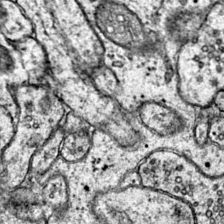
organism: Mouse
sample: Primary visual cortex